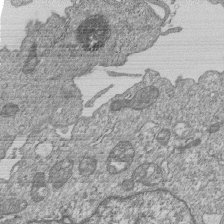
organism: Human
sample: MDA-MB-231 cells